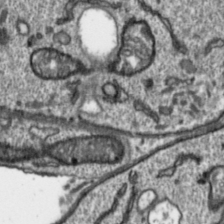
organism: Toxoplasma gondii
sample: Parasites in a vacuole inside a host cell